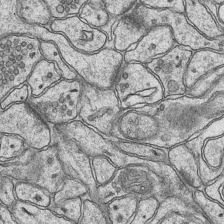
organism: Mouse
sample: CA1 Hippocampus